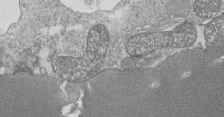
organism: Tetrahymena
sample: Cilia in tetrahymena